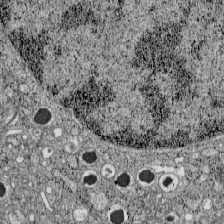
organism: C57BL Mouse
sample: Pancreatic islet